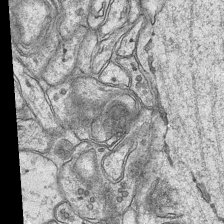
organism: Mouse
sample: CA1 Hippocampus